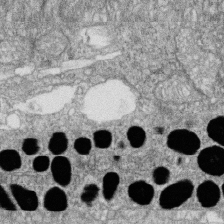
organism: Zebrafish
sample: Cilia; retinal pigment epithelium